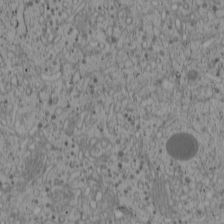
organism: African green monkey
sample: COS-7 cells